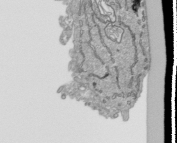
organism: Human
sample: Mitochondria in HCT116 cells